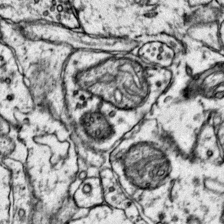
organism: Mouse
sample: Primary visual cortex